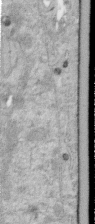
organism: Human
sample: Centriole in RPE cells